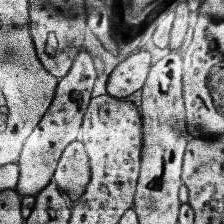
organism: Human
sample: Temporal Lobe